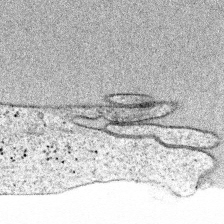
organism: Human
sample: HeLa cells